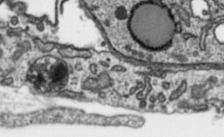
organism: Toxoplasma gondii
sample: Parasites in a vacuole inside a host cell